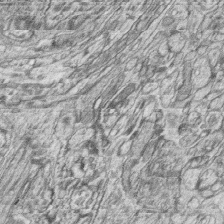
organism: Zebrafish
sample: synaptic ribbons in rod cells and cone cells